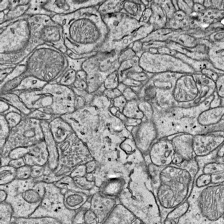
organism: Mouse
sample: Visual Cortex